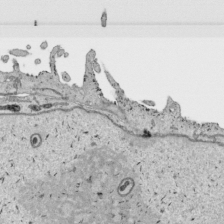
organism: Human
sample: Mitochondria in HCT116 cells